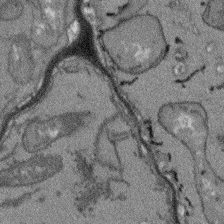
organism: Arabidopsis thaliana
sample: Root tip